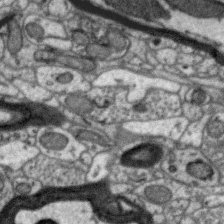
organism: Zebra finch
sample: Brain